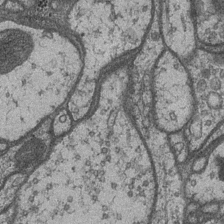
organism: Drosophila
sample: Optic medulla